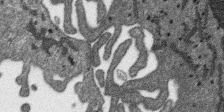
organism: Human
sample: Lung epithelial cells infected with SARS-CoV-2